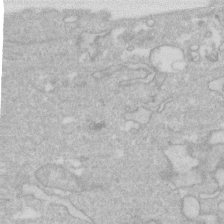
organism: Human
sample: Fibroblast cells